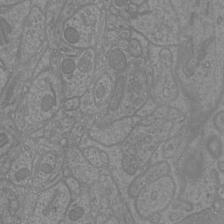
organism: Mouse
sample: Cortical neurons